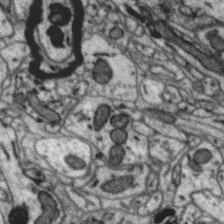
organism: Zebra finch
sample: Brain